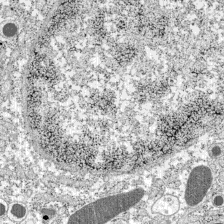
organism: C57BL Mouse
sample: Pancreatic islet